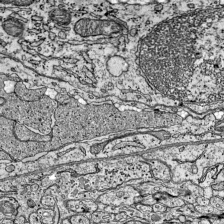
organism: Mouse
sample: Visual Cortex